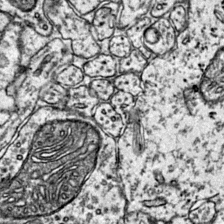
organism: Mouse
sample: Primary visual cortex